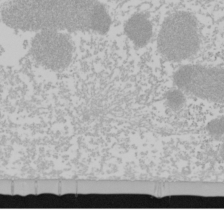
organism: Mouse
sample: Cancer cell death in ED-1 cells